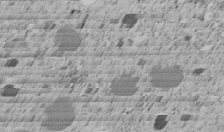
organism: C. elegans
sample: C. elegans embryo early stage